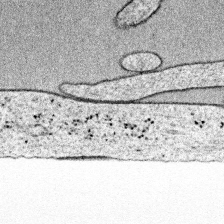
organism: Human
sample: HeLa cells